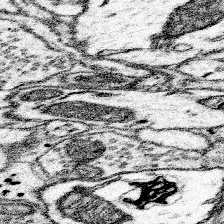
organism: Mouse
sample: Somatosensory cortex neuropil